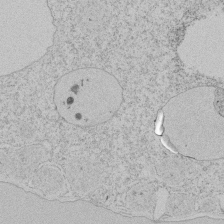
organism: Tetrahymena